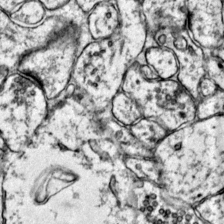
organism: Mouse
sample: Primary visual cortex